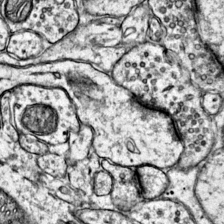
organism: Mouse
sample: Primary visual cortex